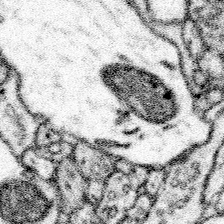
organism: Mouse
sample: Somatosensory cortex neuropil